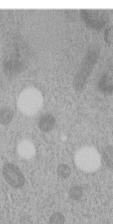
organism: C. elegans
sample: C. elegans embryo early stage